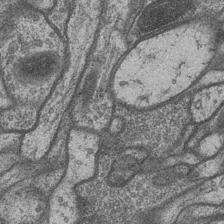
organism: Drosophila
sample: Optic medulla